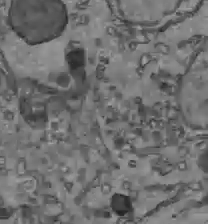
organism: C57BL Mouse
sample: Liver